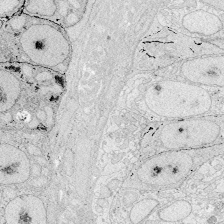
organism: Zebrafish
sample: Whole-Brain